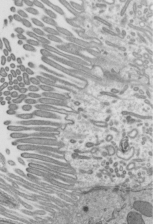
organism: Mouse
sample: Mouse epididymis efferent ductule cilia